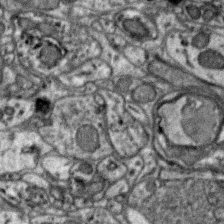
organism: Zebra finch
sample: Brain